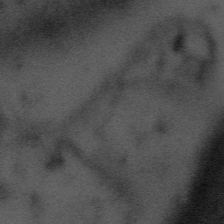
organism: Tuwongella immobilis